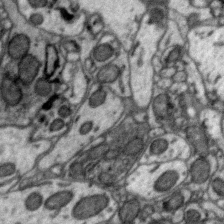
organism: Zebra finch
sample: Brain